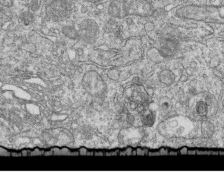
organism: Human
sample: HeLa cell HIV synapse